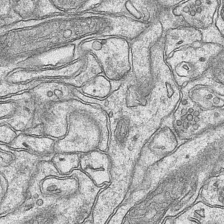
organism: Mouse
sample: CA1 Hippocampus